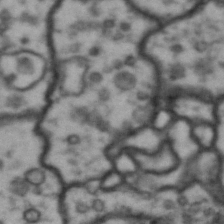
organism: Drosophila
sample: Brain